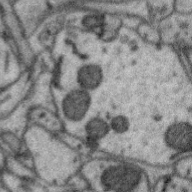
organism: Zebra finch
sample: Brain